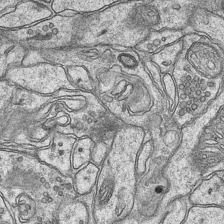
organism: Mouse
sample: CA1 Hippocampus